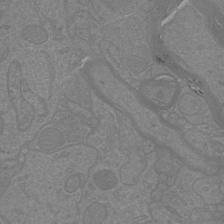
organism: Mouse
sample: Cortical neurons